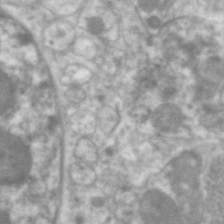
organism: C. elegans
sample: Pharynx